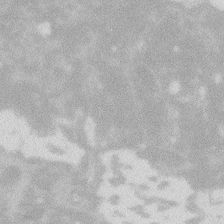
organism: Zebrafish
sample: Macrophage